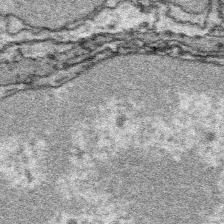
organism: Platynereis dumerilii